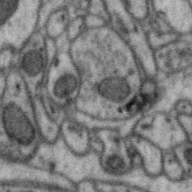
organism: Zebra finch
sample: Brain